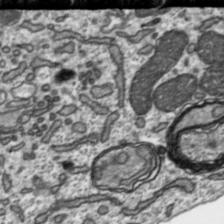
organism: Toxoplasma gondii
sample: Parasites in a vacuole inside a host cell